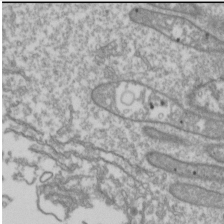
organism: Drosophila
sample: Cell division; meiosis; drosophila spermatocytes